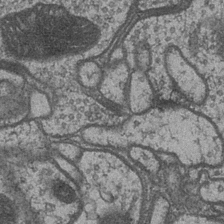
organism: Drosophila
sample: Optic medulla